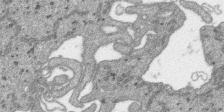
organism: Human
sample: Lung epithelial cells infected with SARS-CoV-2